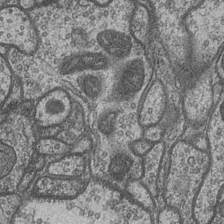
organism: Drosophila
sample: Optic medulla